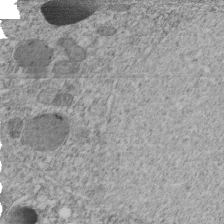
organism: C. elegans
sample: C. elegans embryo early stage